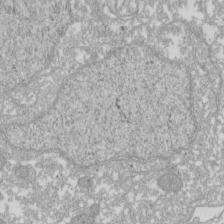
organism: Xenopus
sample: Cilia; centrioles in frog embryo cells